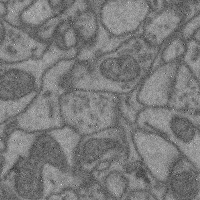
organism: Mouse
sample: Cerebral cortex